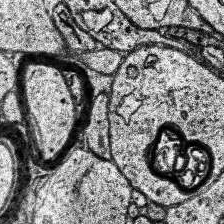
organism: Human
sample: Temporal Lobe